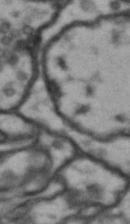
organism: Drosophila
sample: Brain